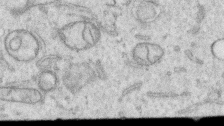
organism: Human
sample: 1205lu cells